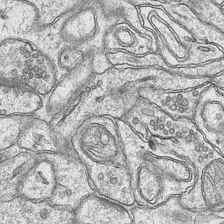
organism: Mouse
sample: CA1 Hippocampus